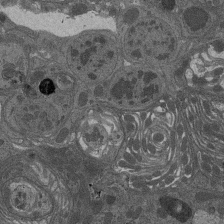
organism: Drosophila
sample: Antenna